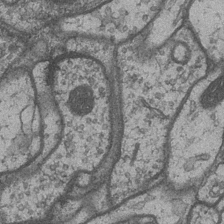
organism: Drosophila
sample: Optic medulla